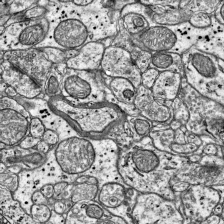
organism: Mouse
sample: Visual Cortex